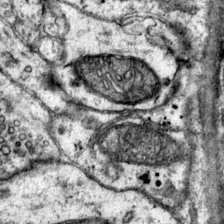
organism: Mouse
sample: Primary visual cortex